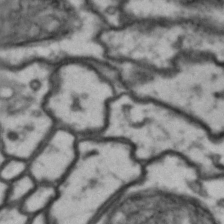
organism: Drosophila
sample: Brain